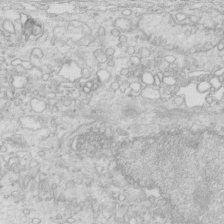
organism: Mouse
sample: Multiciliated cells